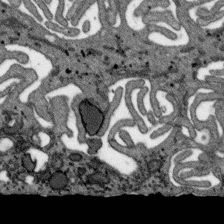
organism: Human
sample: Lung epithelial cells, uninfected (mock) control